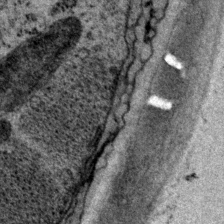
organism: P. pacificus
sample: Pharynx